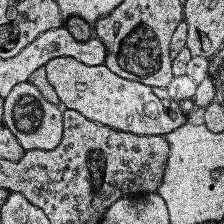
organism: Human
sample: Temporal Lobe